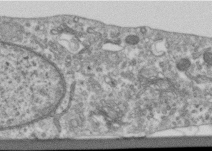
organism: Human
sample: Centriole in RPE cells